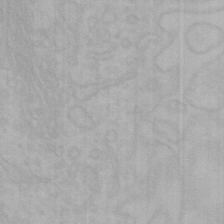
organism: Mouse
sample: Choroid plexus